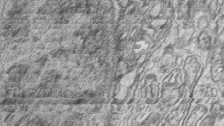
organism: Zebrafish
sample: synaptic ribbons in rod cells and cone cells